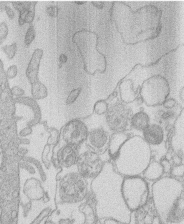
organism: Human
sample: Macrophage cells